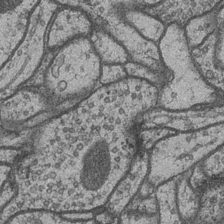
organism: Drosophila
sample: Optic medulla